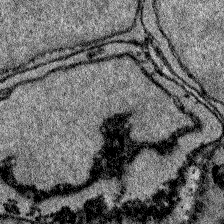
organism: Zebrafish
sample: Larval olfactory bulb